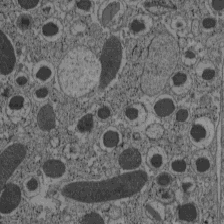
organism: C57BL Mouse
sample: Pancreatic islet